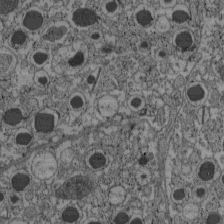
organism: C57BL Mouse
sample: Pancreatic islet